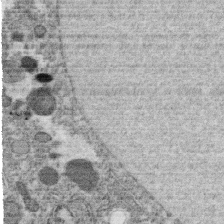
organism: C. elegans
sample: C. elegans oocyte; sperm cells